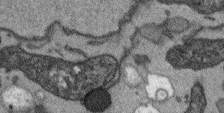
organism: Arabidopsis thaliana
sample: Root tip